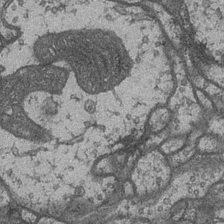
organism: Drosophila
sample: Optic medulla